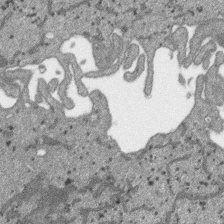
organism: Human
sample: Lung epithelial cells infected with SARS-CoV-2